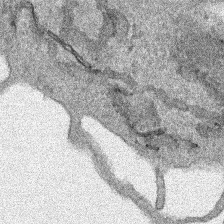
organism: Human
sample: Mitochondria in HCT116 cells